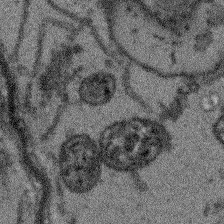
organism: Arabidopsis thaliana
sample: Root tip